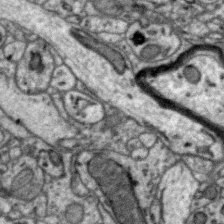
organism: Zebra finch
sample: Brain